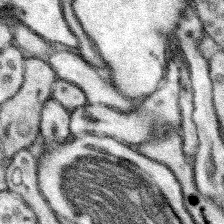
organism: Mouse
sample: Somatosensory cortex neuropil